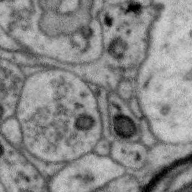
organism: Zebra finch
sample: Brain